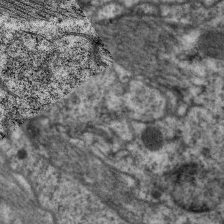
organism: C. elegans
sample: Pharynx